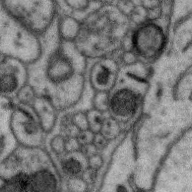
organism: Zebra finch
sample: Brain